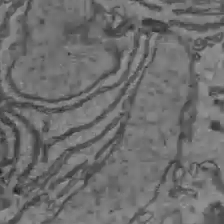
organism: C57BL Mouse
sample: Liver